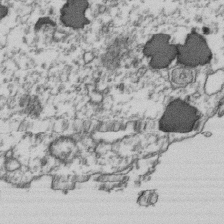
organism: Human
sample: Activated Jurkat CD4+ T cells